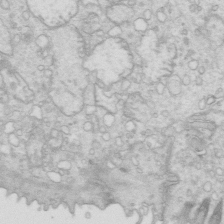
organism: Mouse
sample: Multiciliated cells